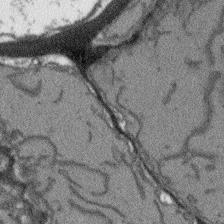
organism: Arabidopsis thaliana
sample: Root tip